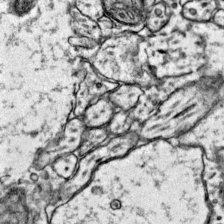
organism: Mouse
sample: Primary visual cortex